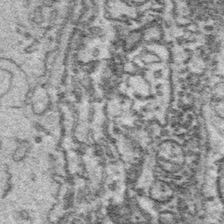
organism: Platynereis dumerilii